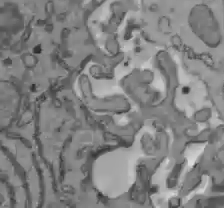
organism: C57BL Mouse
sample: Liver